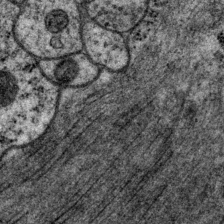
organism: P. pacificus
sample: Pharynx